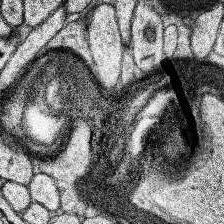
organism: Human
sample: Temporal Lobe